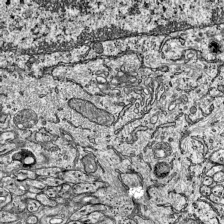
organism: Mouse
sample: Visual Cortex